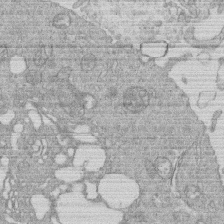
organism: Human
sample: Macrophage cells